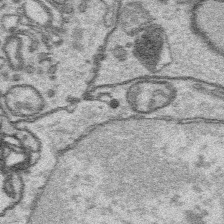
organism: Platynereis dumerilii